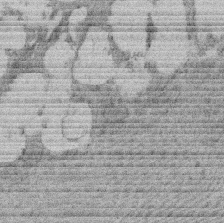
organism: Rat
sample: Salivary granule